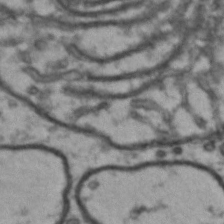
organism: Drosophila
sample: Brain